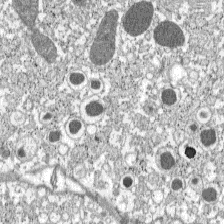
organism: C57BL Mouse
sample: Pancreatic islet